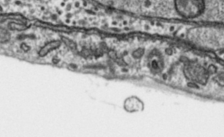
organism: Toxoplasma gondii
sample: Parasites in a vacuole inside a host cell